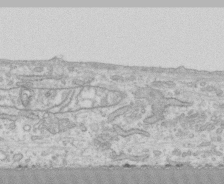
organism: Human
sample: CRL-1474